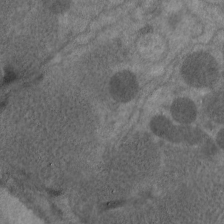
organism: C. elegans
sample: Pharynx